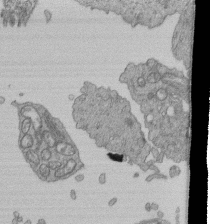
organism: Human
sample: Retinal organoid Rod and Cone cells